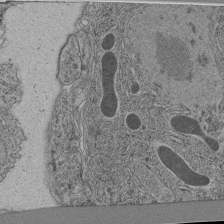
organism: C. elegans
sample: C. elegans pharynx